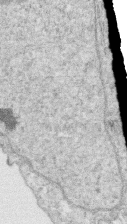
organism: Human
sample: HeLa cell HIV synapse